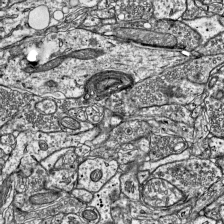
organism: Mouse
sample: Visual Cortex